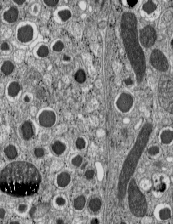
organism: C57BL Mouse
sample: Pancreatic islet